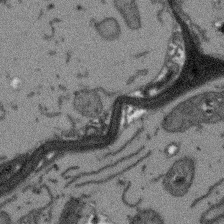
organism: Arabidopsis thaliana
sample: Root tip